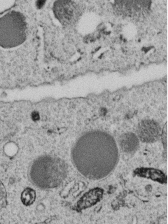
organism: C. elegans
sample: C. elegans embryo early stage